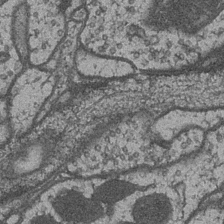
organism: Drosophila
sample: Optic medulla